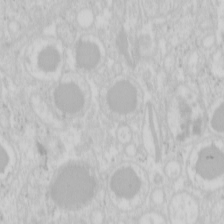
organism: Mouse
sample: Pancreas